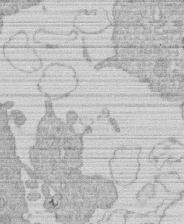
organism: Human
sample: Macrophage cells